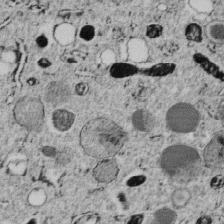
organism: C. elegans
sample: C. elegans embryo early stage